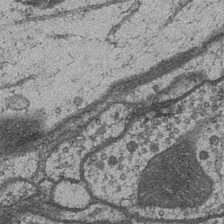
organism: Drosophila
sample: Optic medulla